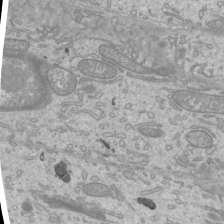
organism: Mouse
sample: Cilia; mouse epididymis